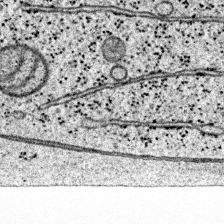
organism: Human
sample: HeLa cells